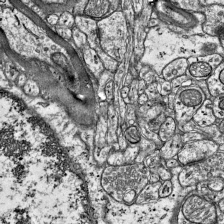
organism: Mouse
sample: Visual Cortex